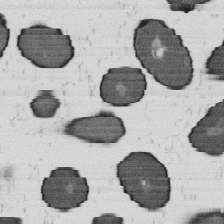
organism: B. subtilis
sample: Bacterial spore